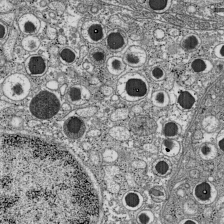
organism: C57BL Mouse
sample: Pancreatic islet